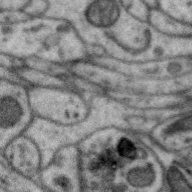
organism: Zebra finch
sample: Brain